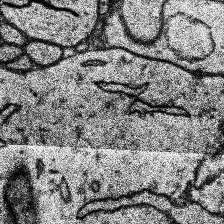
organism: Human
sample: Temporal Lobe